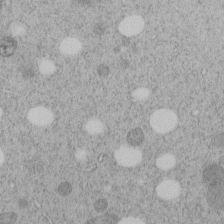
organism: C. elegans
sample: C. elegans embryo early stage